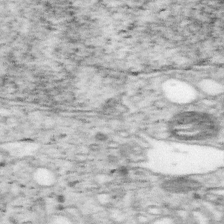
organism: Mouse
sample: OT-I killer T cells with ID8 ovarian cancer cells